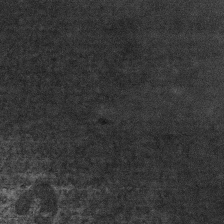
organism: Mouse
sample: Centriole in ependymal cells